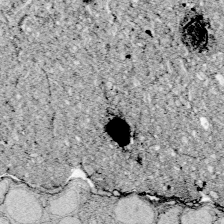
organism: Zebrafish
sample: Whole-Brain